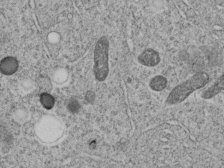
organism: C. elegans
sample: C. elegans embryo early stage